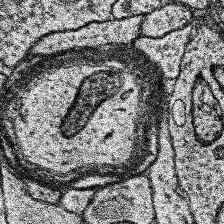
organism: Human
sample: Temporal Lobe